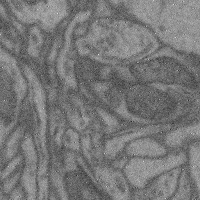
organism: Mouse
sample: Cerebral cortex